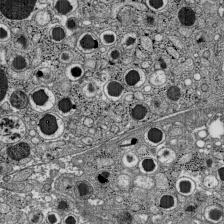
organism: C57BL Mouse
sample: Pancreatic islet